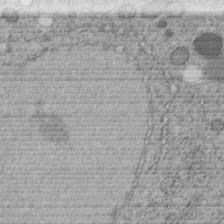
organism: C. elegans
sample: C. elegans embryo early stage